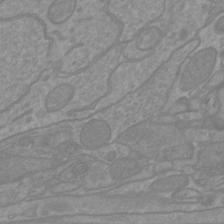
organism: Mouse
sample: Cortical neurons